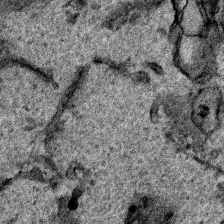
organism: Human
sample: Mitochondria in HCT116 cells